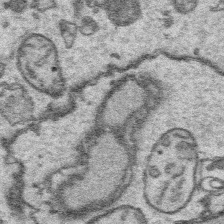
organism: Platynereis dumerilii